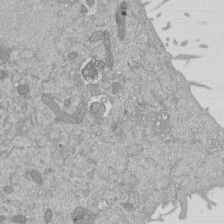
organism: Mouse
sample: ED-1 cell nuclei; centrioles